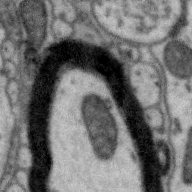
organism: Zebra finch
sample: Brain